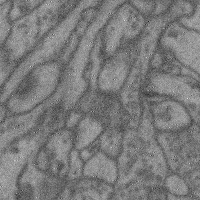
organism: Mouse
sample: Cerebral cortex